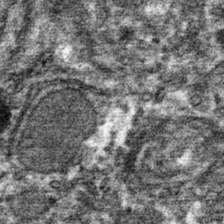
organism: Mouse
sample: Mouse hepatocytes